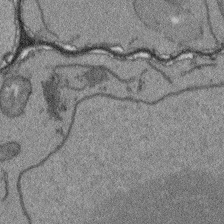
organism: Arabidopsis thaliana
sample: Root tip